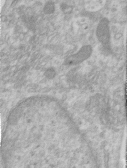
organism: Human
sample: Centriole in RPE cells